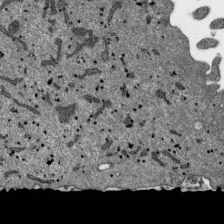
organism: Human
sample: Lung epithelial cells, uninfected (mock) control